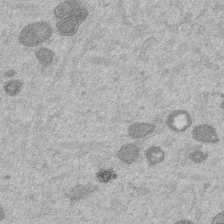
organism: Mouse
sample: Dividing mouse embryo 1 cell stage